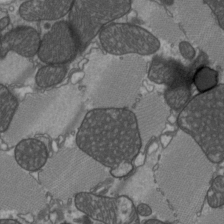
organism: C57BL Mouse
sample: Heart